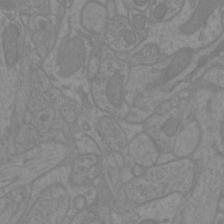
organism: Mouse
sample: Cortical neurons